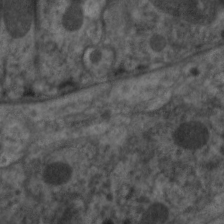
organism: C. elegans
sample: Pharynx